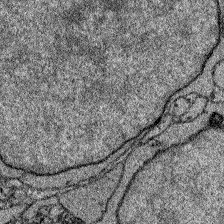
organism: Zebrafish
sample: Larval olfactory bulb